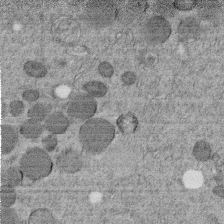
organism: C. elegans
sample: C. elegans embryo early stage